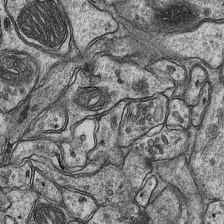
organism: Mouse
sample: CA1 Hippocampus